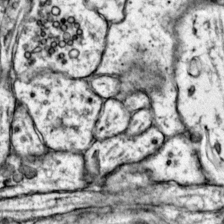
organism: Mouse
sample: Primary visual cortex